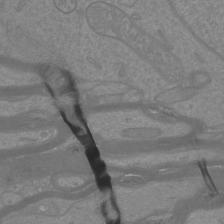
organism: Mouse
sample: Cortical neurons